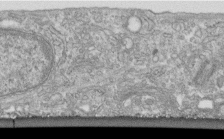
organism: Human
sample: Centriole in fibroblast cells